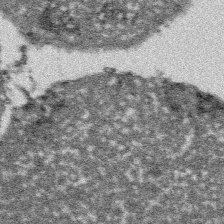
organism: Platynereis dumerilii